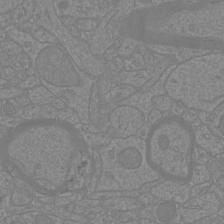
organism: Mouse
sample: Cortical neurons